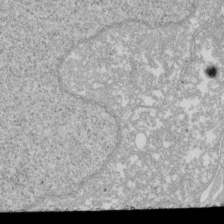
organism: Xenopus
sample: Cilia; centrioles in frog embryo cells